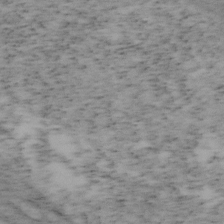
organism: Mouse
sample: OT-I killer T cells with ID8 ovarian cancer cells